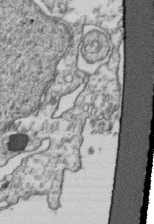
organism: Human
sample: Activated Jurkat CD4+ T cells